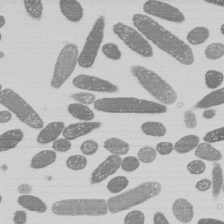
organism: E. coli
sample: Bacterial nucleoid